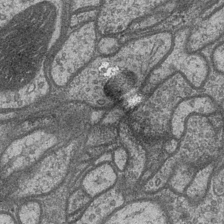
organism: Drosophila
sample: Optic medulla